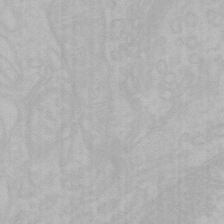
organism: Mouse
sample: Choroid plexus